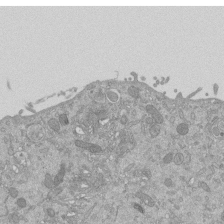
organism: Mouse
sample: ED-1 cell nuclei; centrioles